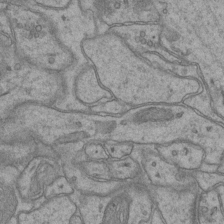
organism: Mouse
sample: CA1 Hippocampus